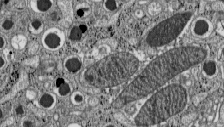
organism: C57BL Mouse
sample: Pancreatic islet